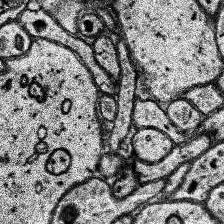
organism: Human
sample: Temporal Lobe